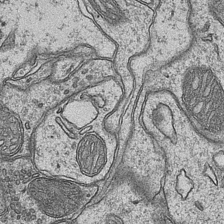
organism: Mouse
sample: CA1 Hippocampus